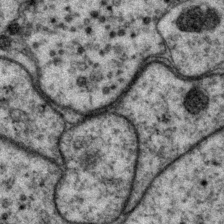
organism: P. pacificus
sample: Pharynx